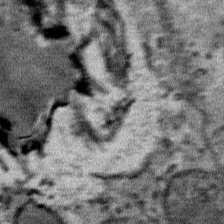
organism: Mouse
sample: Mouse Salivary gland